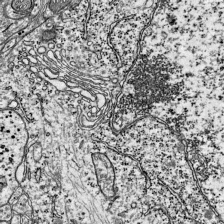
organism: Mouse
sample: Visual Cortex